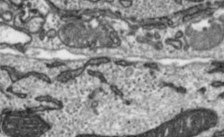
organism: Toxoplasma gondii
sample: Parasites in a vacuole inside a host cell